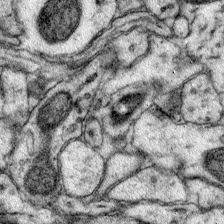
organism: Mouse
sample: Primary visual cortex